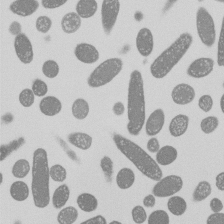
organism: E. coli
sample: Bacterial nucleoid